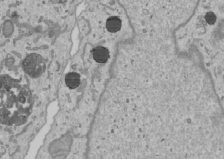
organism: Human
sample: Mitochondria in U2OS cells